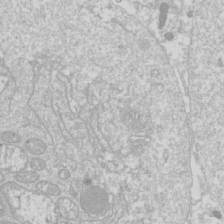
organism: Drosophila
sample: Cell division; meiosis; drosophila spermatocytes